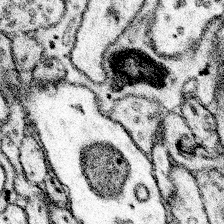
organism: Mouse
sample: Somatosensory cortex neuropil